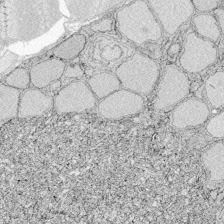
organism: Zebrafish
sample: Whole-Brain